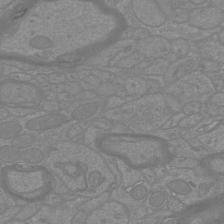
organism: Mouse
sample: Cortical neurons